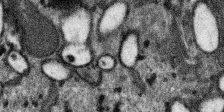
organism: Human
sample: Lung epithelial cells infected with SARS-CoV-2